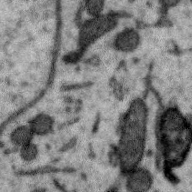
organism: Zebra finch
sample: Brain